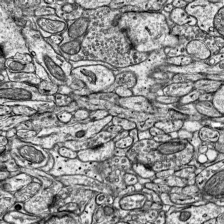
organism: Mouse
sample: Visual Cortex